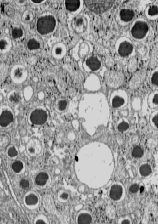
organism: C57BL Mouse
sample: Pancreatic islet